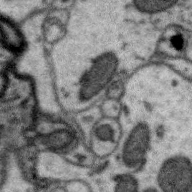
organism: Zebra finch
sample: Brain